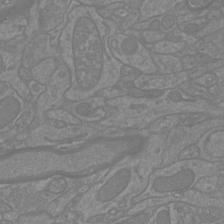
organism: Mouse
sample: Cortical neurons